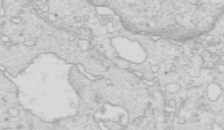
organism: Mouse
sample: Multiciliated cells